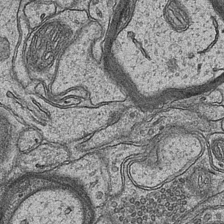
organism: Mouse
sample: CA1 Hippocampus